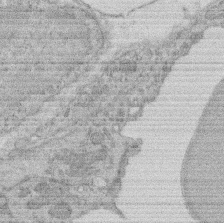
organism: Rat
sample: Salivary granule